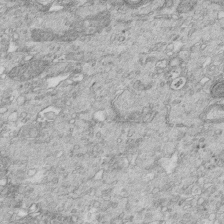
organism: Mouse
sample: Multiciliated cells